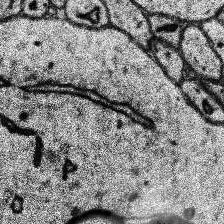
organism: Human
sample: Temporal Lobe